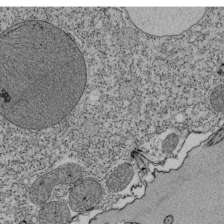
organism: Tetrahymena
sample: Cilia in tetrahymena